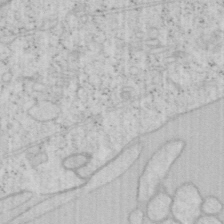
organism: Human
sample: HeLa cells